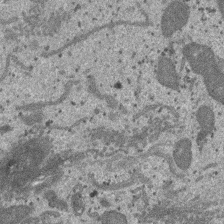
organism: Human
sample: Lung epithelial cells infected with SARS-CoV-2